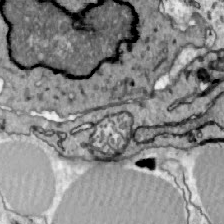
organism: Zebrafish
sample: Actinotrichia fibers